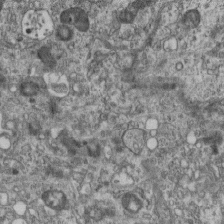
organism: Mouse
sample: Centriole in ependymal cells